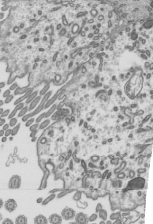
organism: Mouse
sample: Mouse epididymis efferent ductule cilia